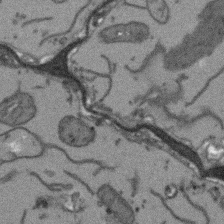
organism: Arabidopsis thaliana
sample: Root tip